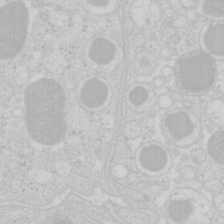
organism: Mouse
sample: Pancreas